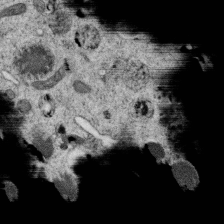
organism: C. elegans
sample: C. elegans oocyte; sperm cells